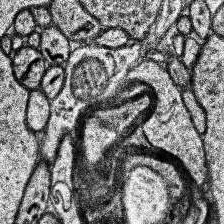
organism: Human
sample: Temporal Lobe